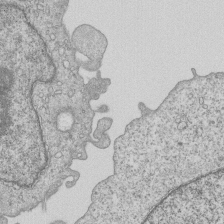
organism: Human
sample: MDA-MB-231 cells